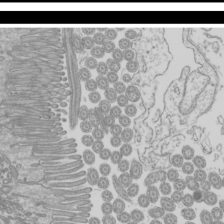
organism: Mouse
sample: Cilia; mouse epididymis